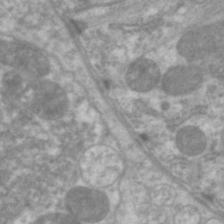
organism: C. elegans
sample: Pharynx